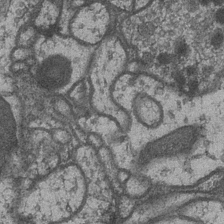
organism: Drosophila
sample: Optic medulla